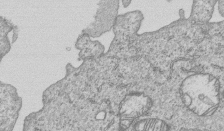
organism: Human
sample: MDA-MB-231 cells